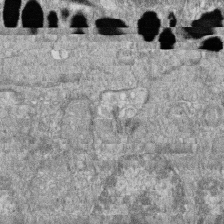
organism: Zebrafish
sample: Cilia; retinal pigment epithelium